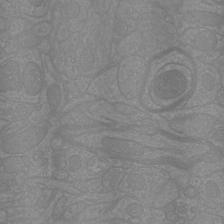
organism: Mouse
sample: Cortical neurons